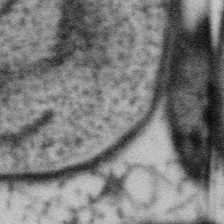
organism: Gemmata obscuriglobus